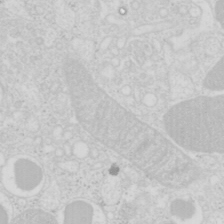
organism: Mouse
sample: Pancreas